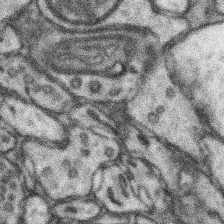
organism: Mouse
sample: Somatosensory cortex neuropil